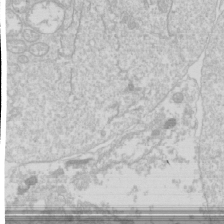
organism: Drosophila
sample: Cell division; meiosis; drosophila spermatocytes